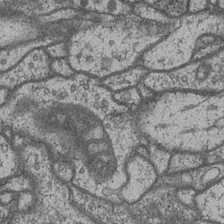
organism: Drosophila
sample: Optic medulla